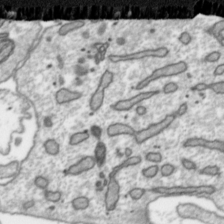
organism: Toxoplasma gondii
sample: Parasites in a vacuole inside a host cell